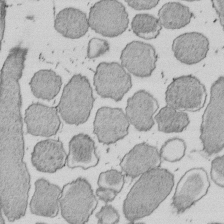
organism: E. coli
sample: Bacterial nucleoid